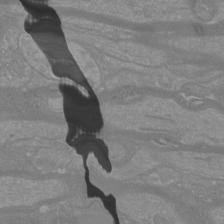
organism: Mouse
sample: Cortical neurons